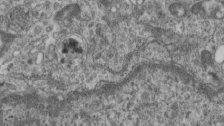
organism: Mouse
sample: Centriole in ependymal cells